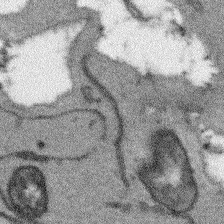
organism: Arabidopsis thaliana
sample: Root tip